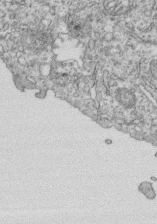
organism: Human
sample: HeLa cell HIV synapse